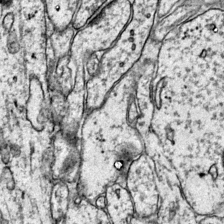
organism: Mouse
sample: Primary visual cortex